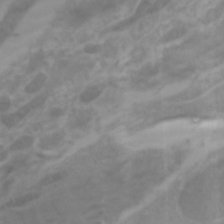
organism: Zebrafish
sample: Zebrafish embryo